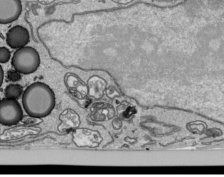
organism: Human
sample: Mitochondria in HCT116 cells